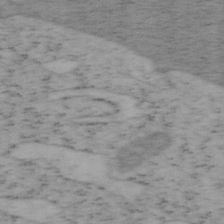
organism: Mouse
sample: OT-I killer T cells with ID8 ovarian cancer cells